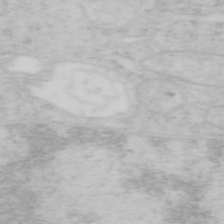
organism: Mouse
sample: OT-I killer T cells with ID8 ovarian cancer cells